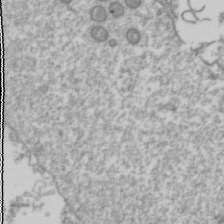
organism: Drosophila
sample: Cell division; meiosis; drosophila spermatocytes